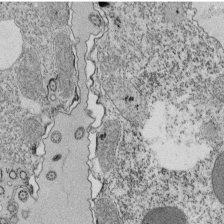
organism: Tetrahymena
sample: Cilia in tetrahymena